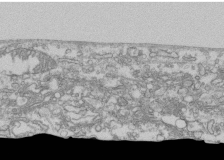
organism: Human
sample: Fibroblast cells